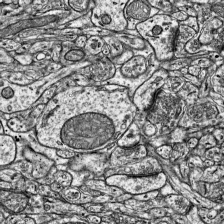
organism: Mouse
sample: Visual Cortex